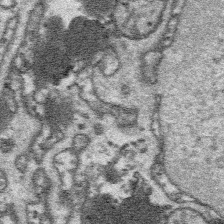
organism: Platynereis dumerilii